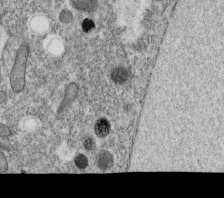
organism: C. elegans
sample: C. elegans oocyte; sperm cells